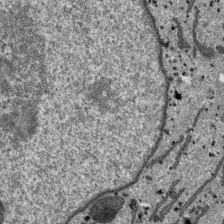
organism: Human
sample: Lung epithelial cells, uninfected (mock) control